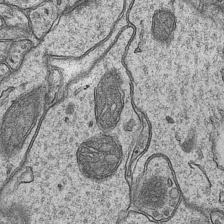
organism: Mouse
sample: CA1 Hippocampus